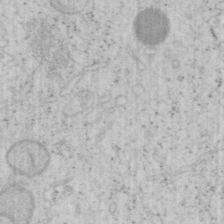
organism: Human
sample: HeLa cells